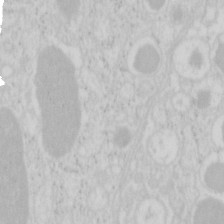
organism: Mouse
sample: Pancreas